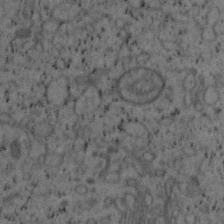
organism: Human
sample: HeLa cells